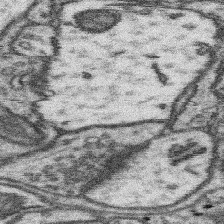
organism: Mouse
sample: Somatosensory cortex neuropil